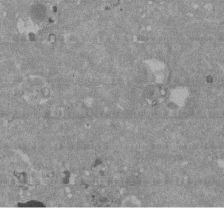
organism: Mouse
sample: ED-1 cell nuclei; centrioles